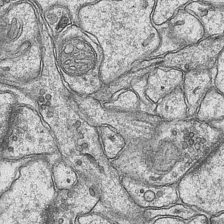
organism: Mouse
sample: CA1 Hippocampus